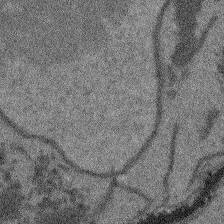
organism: Arabidopsis thaliana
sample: Root tip